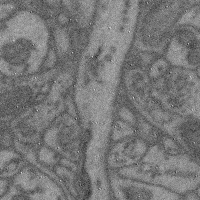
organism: Mouse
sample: Cerebral cortex